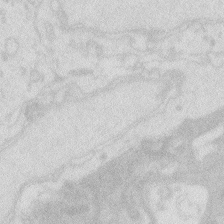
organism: Zebrafish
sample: Macrophage